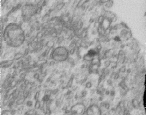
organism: Human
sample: Centriole in RPE cells